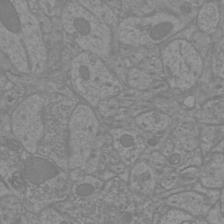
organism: Mouse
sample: Cortical neurons